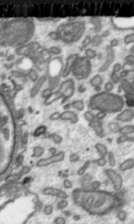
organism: Toxoplasma gondii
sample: Parasites in a vacuole inside a host cell